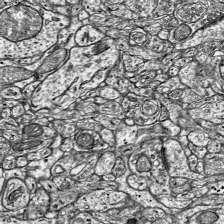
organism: Mouse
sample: Visual Cortex